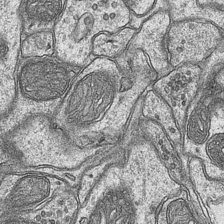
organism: Mouse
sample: CA1 Hippocampus